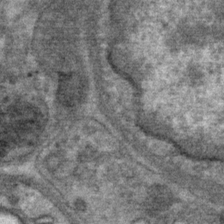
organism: Mouse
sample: Mouse Salivary gland